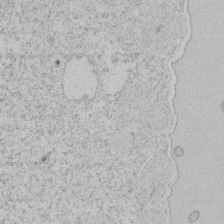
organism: Tetrahymena